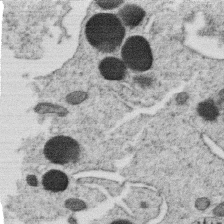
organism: C. elegans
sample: C. elegans oocyte; sperm cells